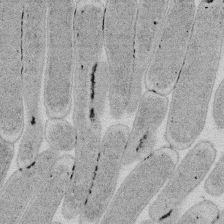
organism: E. coli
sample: Bacterial nucleoid